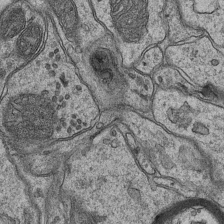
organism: Mouse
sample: CA1 Hippocampus